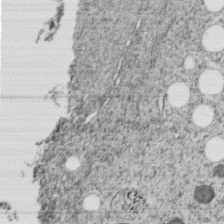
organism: C. elegans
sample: C. elegans embryo early stage